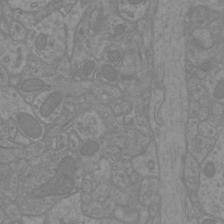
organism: Mouse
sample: Cortical neurons